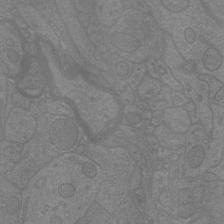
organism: Mouse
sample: Cortical neurons